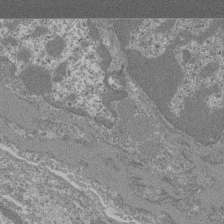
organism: Mouse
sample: Glomerulus